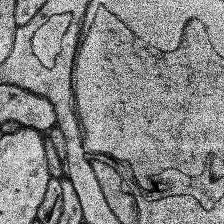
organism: Human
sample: Temporal Lobe